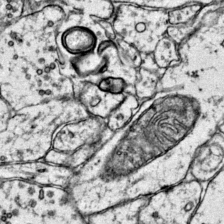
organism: Mouse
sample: Primary visual cortex